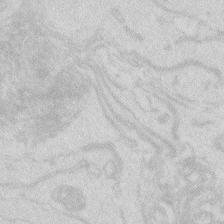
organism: Zebrafish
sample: Macrophage